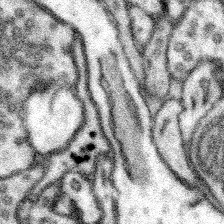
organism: Mouse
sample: Somatosensory cortex neuropil